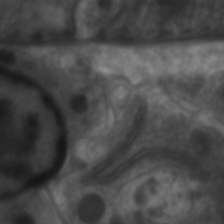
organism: C. elegans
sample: Pharynx